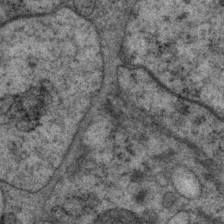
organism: P. pacificus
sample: Pharynx